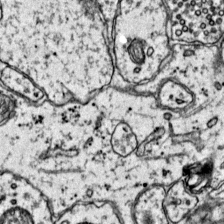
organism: Mouse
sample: Primary visual cortex